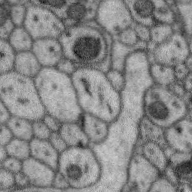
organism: Zebra finch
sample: Brain